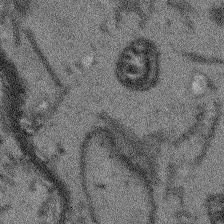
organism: Arabidopsis thaliana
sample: Root tip